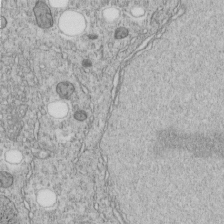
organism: C. elegans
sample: C. elegans embryo early stage